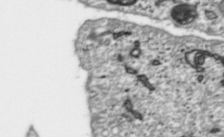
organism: Toxoplasma gondii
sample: Parasites in a vacuole inside a host cell